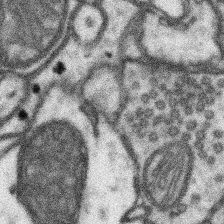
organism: Mouse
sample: Somatosensory cortex neuropil